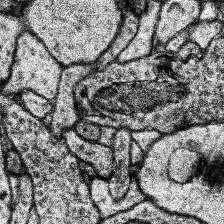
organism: Human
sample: Temporal Lobe